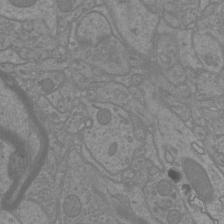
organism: Mouse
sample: Cortical neurons